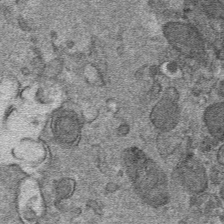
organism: Mouse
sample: Mouse hepatocytes